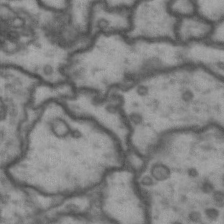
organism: Drosophila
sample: Brain